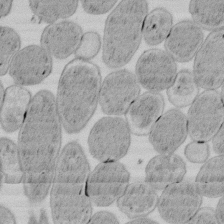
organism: E. coli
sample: Bacterial nucleoid